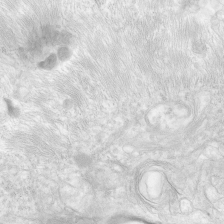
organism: Human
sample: Neocortex